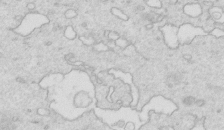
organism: Mouse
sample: Multiciliated cells